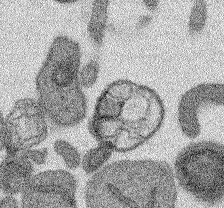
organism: Human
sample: HeLa cells